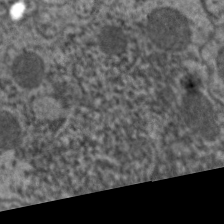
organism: C. elegans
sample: Pharynx